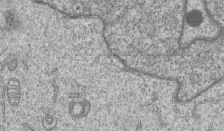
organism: Human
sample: MDA-MB-231 cells